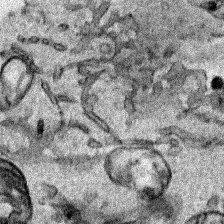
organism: Human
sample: Mitochondria in HCT116 cells